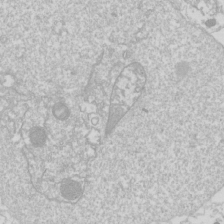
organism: Drosophila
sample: Cell division; meiosis; drosophila spermatocytes